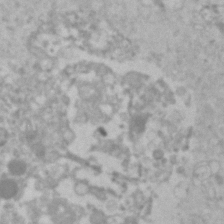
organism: Human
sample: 1205lu cells